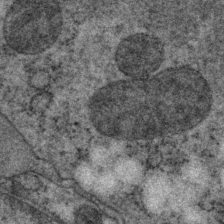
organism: P. pacificus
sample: Pharynx